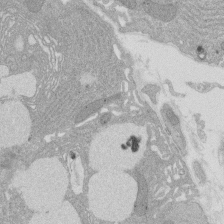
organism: Rat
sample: Salivary granule